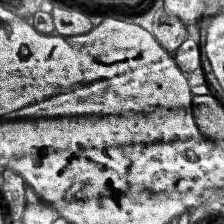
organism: Human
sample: Temporal Lobe